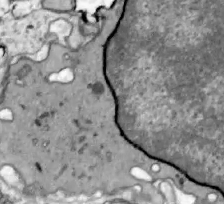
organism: Zebrafish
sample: Actinotrichia fibers